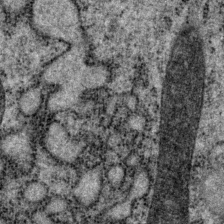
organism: P. pacificus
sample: Pharynx